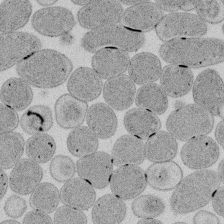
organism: E. coli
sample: Bacterial nucleoid